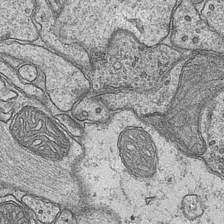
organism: Mouse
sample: CA1 Hippocampus